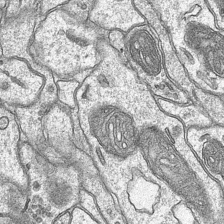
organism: Mouse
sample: CA1 Hippocampus